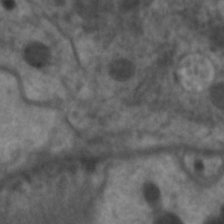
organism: C. elegans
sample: Pharynx